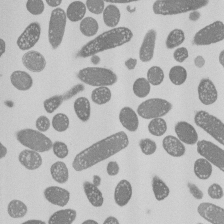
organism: E. coli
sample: Bacterial nucleoid